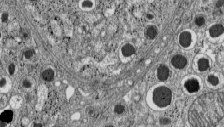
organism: C57BL Mouse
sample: Pancreatic islet